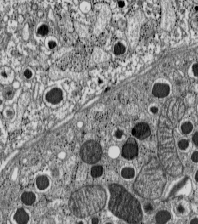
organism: C57BL Mouse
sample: Pancreatic islet